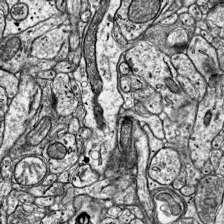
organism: Mouse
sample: Visual Cortex